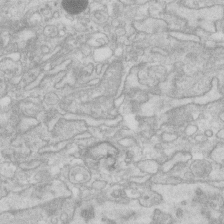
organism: Human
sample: Fibroblast cells